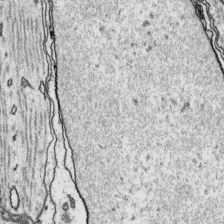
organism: Platynereis dumerilii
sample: Parapodia